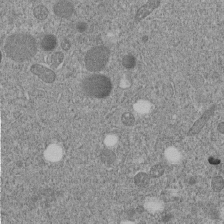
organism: C. elegans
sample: C. elegans embryo early stage